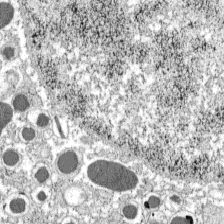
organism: C57BL Mouse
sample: Pancreatic islet